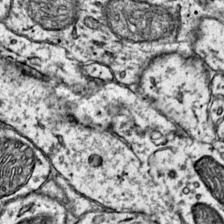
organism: Mouse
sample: Primary visual cortex